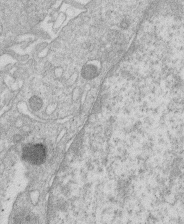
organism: Human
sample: Macrophage cells